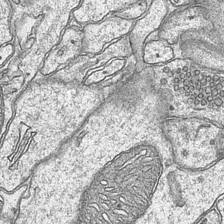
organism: Mouse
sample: CA1 Hippocampus